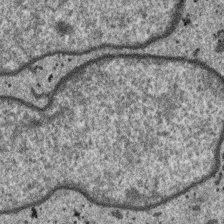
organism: Human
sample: Lung epithelial cells infected with SARS-CoV-2